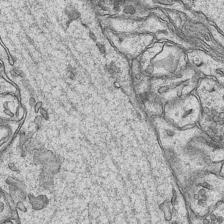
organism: Mouse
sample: CA1 Hippocampus